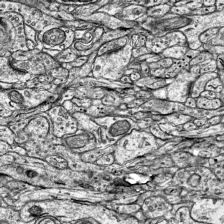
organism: Mouse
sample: Visual Cortex